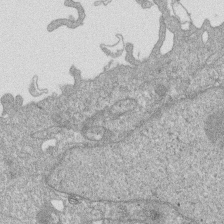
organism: Human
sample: HeLa cell HIV synapse